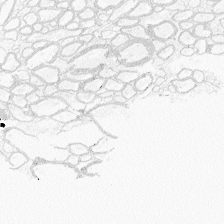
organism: Zebrafish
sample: Whole-Brain